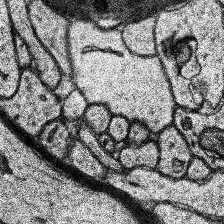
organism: Human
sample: Temporal Lobe